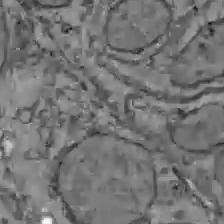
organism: C57BL Mouse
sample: Liver